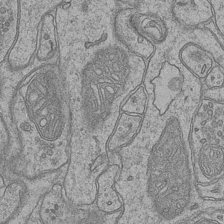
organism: Mouse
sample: CA1 Hippocampus